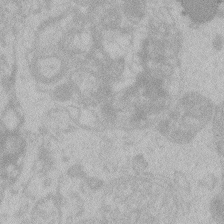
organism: Zebrafish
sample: Macrophage infected with Toxoplasma gondii